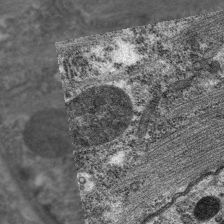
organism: C. elegans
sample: Pharynx